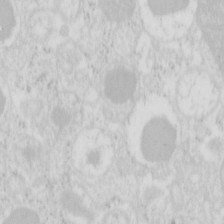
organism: Mouse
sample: Pancreas